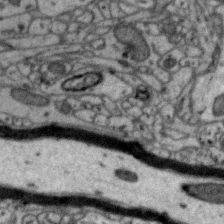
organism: Zebra finch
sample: Brain